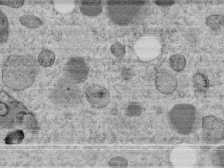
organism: C. elegans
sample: C. elegans embryo early stage